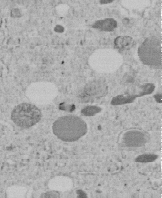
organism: C. elegans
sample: C. elegans embryo early stage